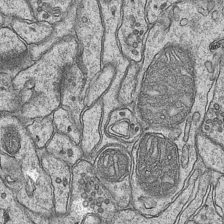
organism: Mouse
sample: CA1 Hippocampus